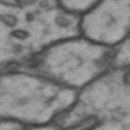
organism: Drosophila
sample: Brain